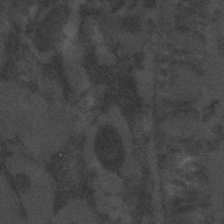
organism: C. elegans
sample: C. elegans embryo